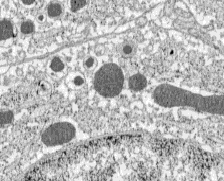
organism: C57BL Mouse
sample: Pancreatic islet